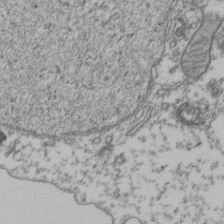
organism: Human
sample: Activated Jurkat CD4+ T cells